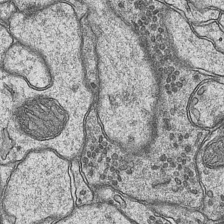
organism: Mouse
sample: CA1 Hippocampus